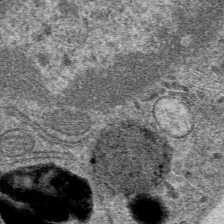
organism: Mouse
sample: Mouse hepatocytes